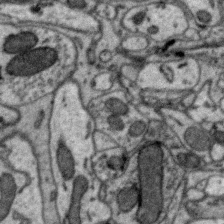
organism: Zebra finch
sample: Brain